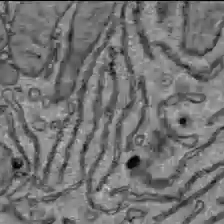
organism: C57BL Mouse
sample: Liver